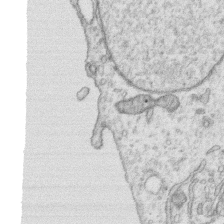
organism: Human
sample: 1205lu cells